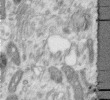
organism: Human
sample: Centriole in RPE cells